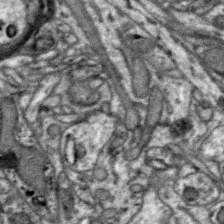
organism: Zebra finch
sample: Brain